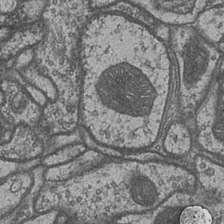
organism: Drosophila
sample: Optic medulla